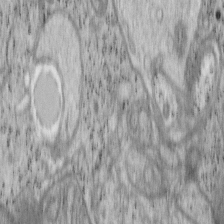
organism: Human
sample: HeLa cells